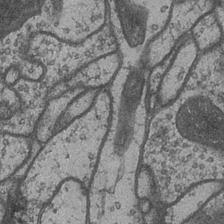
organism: Drosophila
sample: Optic medulla